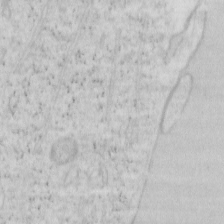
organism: Human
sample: HeLa cells